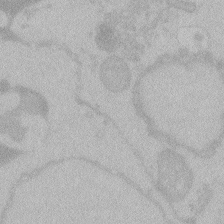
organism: Zebrafish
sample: Macrophage infected with Toxoplasma gondii